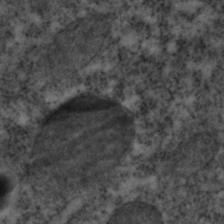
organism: C. elegans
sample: C. elegans embryo